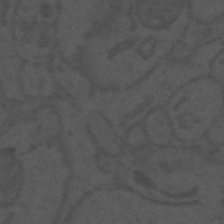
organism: Mouse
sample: Suprachiasmatic nucleus